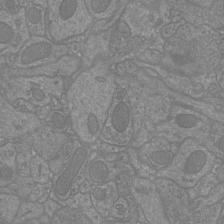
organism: Mouse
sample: Cortical neurons